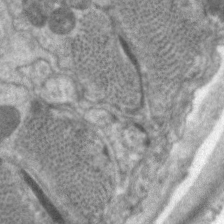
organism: C. elegans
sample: Pharynx